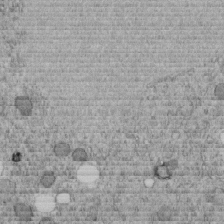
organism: C. elegans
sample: C. elegans embryo early stage